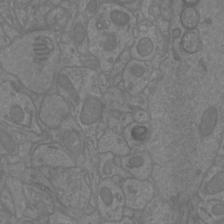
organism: Mouse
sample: Cortical neurons